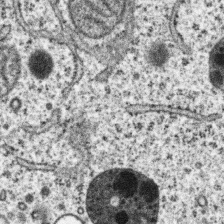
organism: Human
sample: HeLa cells